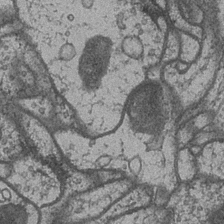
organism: Drosophila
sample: Optic medulla